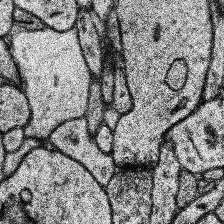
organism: Human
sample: Temporal Lobe